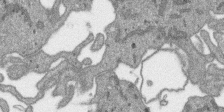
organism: Human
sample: Lung epithelial cells infected with SARS-CoV-2